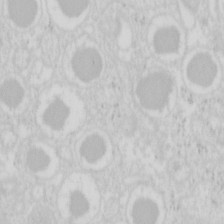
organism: Mouse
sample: Pancreas